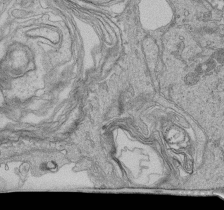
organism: Human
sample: Retinal organoid Rod and Cone cells